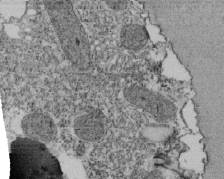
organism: Tetrahymena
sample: Cilia in tetrahymena